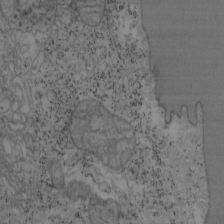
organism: Mouse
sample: OT-I killer T cells with ID8 ovarian cancer cells